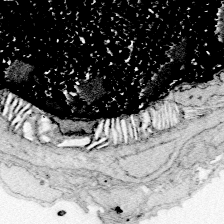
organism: Zebrafish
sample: Whole-Brain